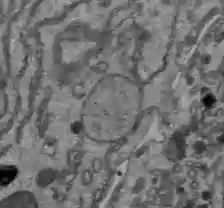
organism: C57BL Mouse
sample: Liver